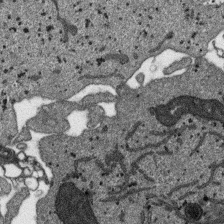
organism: Human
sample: Lung epithelial cells infected with SARS-CoV-2